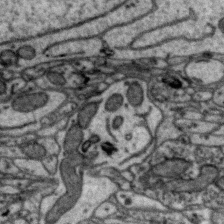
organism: Zebra finch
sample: Brain